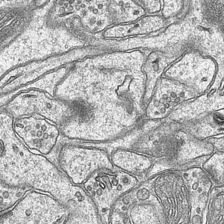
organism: Mouse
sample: CA1 Hippocampus